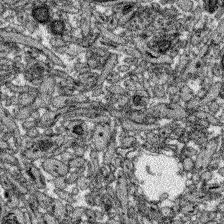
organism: Zebrafish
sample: Larval olfactory bulb